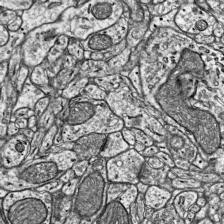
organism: Mouse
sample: Visual Cortex